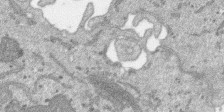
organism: Human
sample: Lung epithelial cells infected with SARS-CoV-2